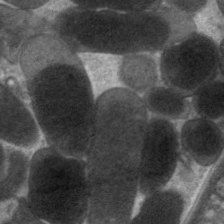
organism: C. elegans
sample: Pharynx